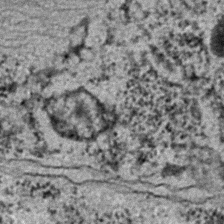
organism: C. elegans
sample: C. elegans embryo